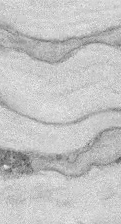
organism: Mouse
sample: Corneal nerves